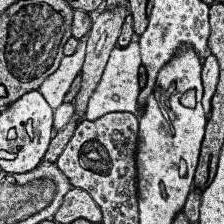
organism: Human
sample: Temporal Lobe